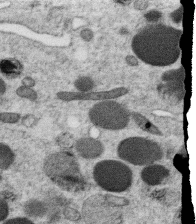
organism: C. elegans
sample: C. elegans oocyte; sperm cells